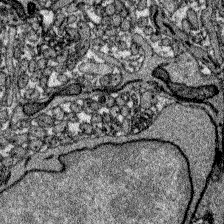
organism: Zebrafish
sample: Larval olfactory bulb